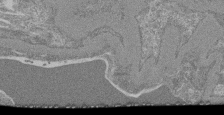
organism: Mouse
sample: Glomerulus